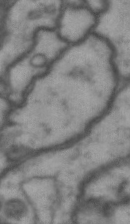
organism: Drosophila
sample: Brain